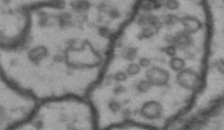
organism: Drosophila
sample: Brain